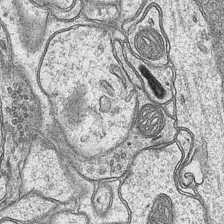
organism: Mouse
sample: CA1 Hippocampus